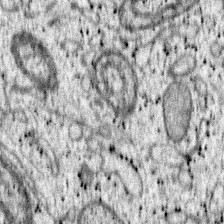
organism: Human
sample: HeLa cells